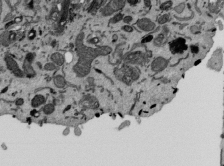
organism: Mouse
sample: ED-1 cell nuclei; centrioles